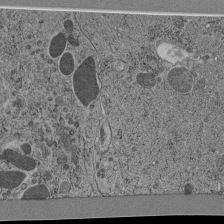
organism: C. elegans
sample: C. elegans pharynx